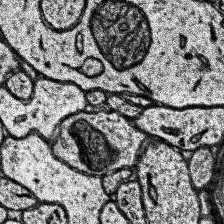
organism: Human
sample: Temporal Lobe